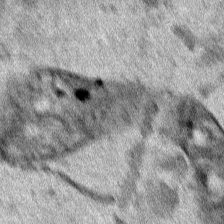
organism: Human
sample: Mitochondria in HCT116 cells